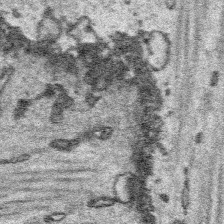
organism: Platynereis dumerilii